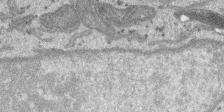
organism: Human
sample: Lung epithelial cells infected with SARS-CoV-2